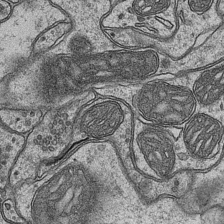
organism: Mouse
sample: CA1 Hippocampus